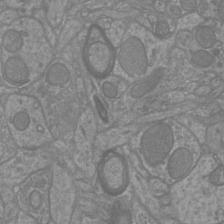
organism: Mouse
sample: Cortical neurons